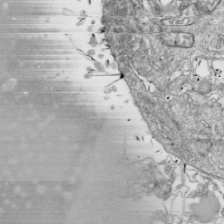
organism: Drosophila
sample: Cell division; meiosis; drosophila spermatocytes